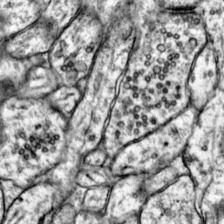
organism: Mouse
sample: Primary visual cortex